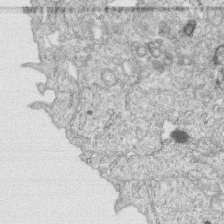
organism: Human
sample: HeLa cell HIV synapse